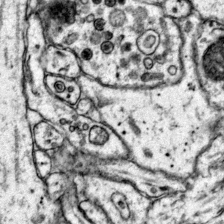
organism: Mouse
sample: Primary visual cortex